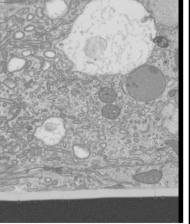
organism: Mouse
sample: Cilia; mouse epididymis